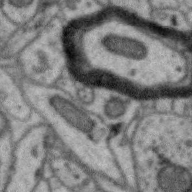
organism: Zebra finch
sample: Brain